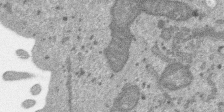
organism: Human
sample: Lung epithelial cells infected with SARS-CoV-2